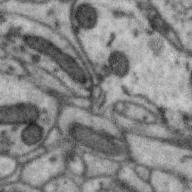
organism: Zebra finch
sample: Brain